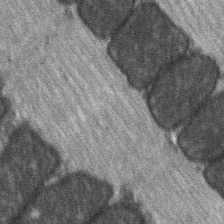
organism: C57BL Mouse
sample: Soleus